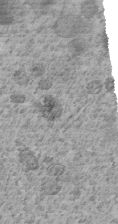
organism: C. elegans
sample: C. elegans embryo early stage